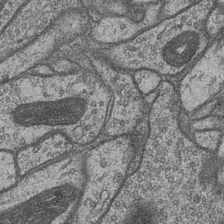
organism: Drosophila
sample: Optic medulla